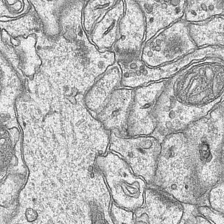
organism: Mouse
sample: CA1 Hippocampus